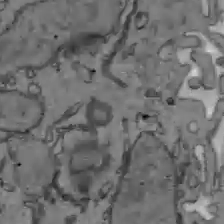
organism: C57BL Mouse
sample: Liver